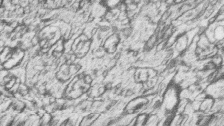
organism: Zebrafish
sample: synaptic ribbons in rod cells and cone cells